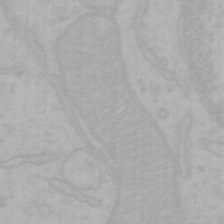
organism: Mouse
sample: Choroid plexus